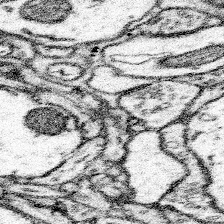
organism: Mouse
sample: Somatosensory cortex neuropil